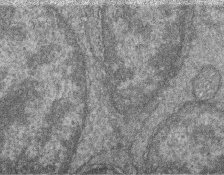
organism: Zebrafish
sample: Cilia; retinal pigment epithelium